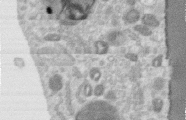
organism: Human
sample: Centriole in RPE cells